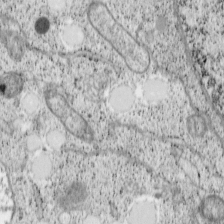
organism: African green monkey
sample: COS-7 cells